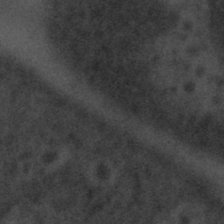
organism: Tuwongella immobilis